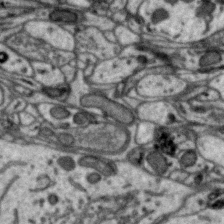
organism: Zebra finch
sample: Brain